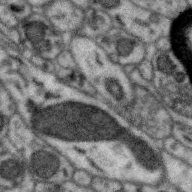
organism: Zebra finch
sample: Brain